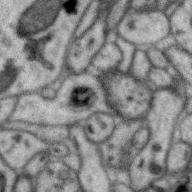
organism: Zebra finch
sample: Brain